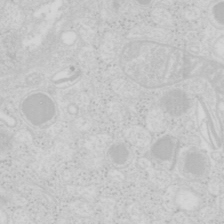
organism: Mouse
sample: Pancreas